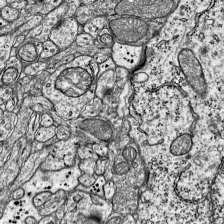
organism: Mouse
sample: Visual Cortex